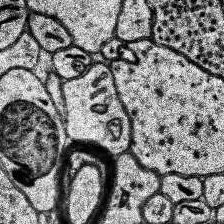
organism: Human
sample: Temporal Lobe